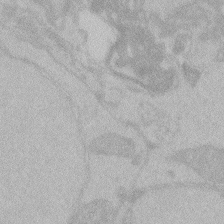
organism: Zebrafish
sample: Macrophage infected with Toxoplasma gondii